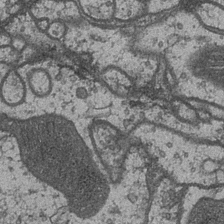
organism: Drosophila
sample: Optic medulla